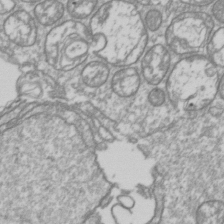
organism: Drosophila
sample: Cell division; meiosis; drosophila spermatocytes